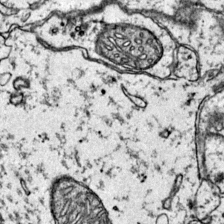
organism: Mouse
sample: Primary visual cortex